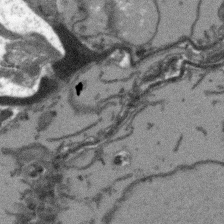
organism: Arabidopsis thaliana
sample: Root tip